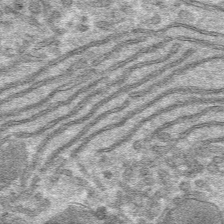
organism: Mouse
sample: Mouse hepatocytes